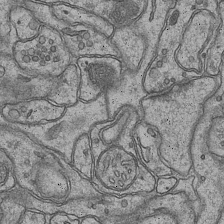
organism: Mouse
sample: CA1 Hippocampus